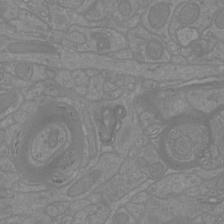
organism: Mouse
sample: Cortical neurons